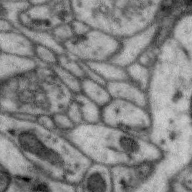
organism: Zebra finch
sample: Brain